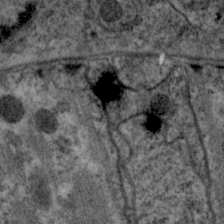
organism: C. elegans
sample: Pharynx